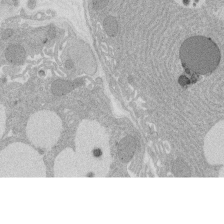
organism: Rat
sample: Salivary granule